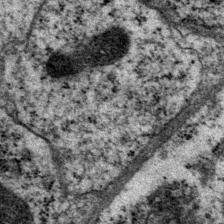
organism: P. pacificus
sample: Pharynx